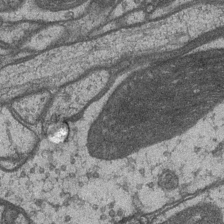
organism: Drosophila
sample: Optic medulla